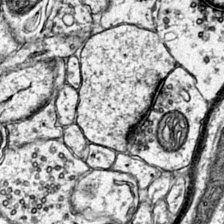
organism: Mouse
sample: Primary visual cortex